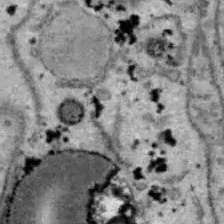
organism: Mouse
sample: Liver from an obese (ob/ob) mouse